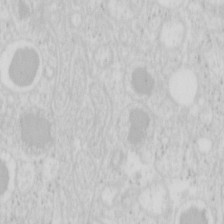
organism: Mouse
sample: Pancreas